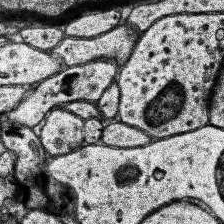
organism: Human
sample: Temporal Lobe